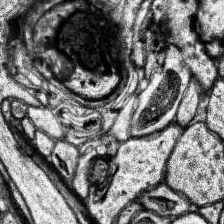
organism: Human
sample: Temporal Lobe